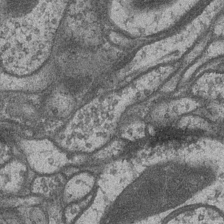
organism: Drosophila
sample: Optic medulla